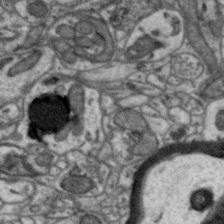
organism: Zebra finch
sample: Brain